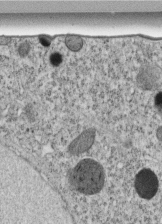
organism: C. elegans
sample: C. elegans embryo early stage